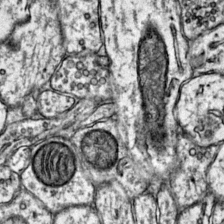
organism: Mouse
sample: Primary visual cortex